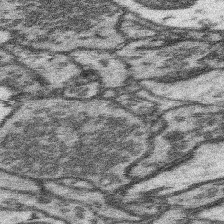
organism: Mouse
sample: Somatosensory cortex neuropil